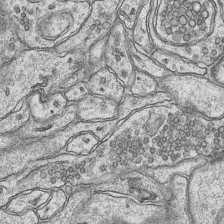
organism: Mouse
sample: CA1 Hippocampus